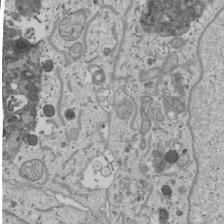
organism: Human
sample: Mitochondria in U2OS cells